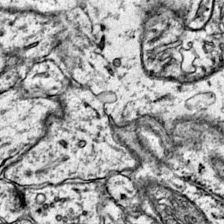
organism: Mouse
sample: Primary visual cortex